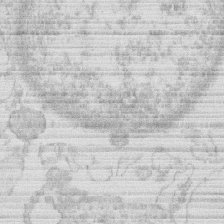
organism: Human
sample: Macrophage cells